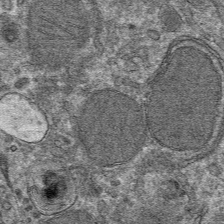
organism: Mouse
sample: Mouse hepatocytes